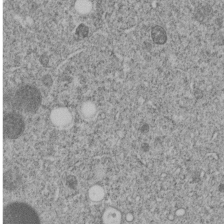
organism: C. elegans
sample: C. elegans embryo early stage